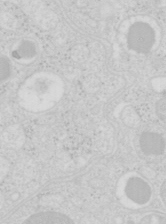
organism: Mouse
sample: Pancreas